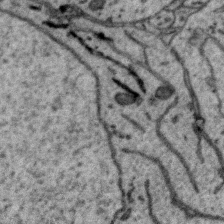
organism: Zebra finch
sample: Brain